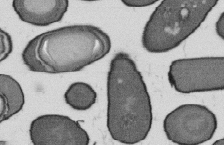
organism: B. subtilis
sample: Bacterial spore